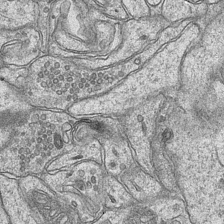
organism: Mouse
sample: CA1 Hippocampus